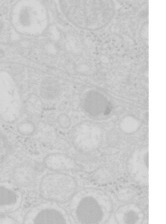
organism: Mouse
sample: Pancreas